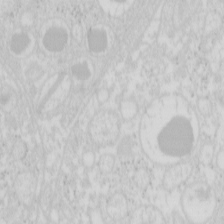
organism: Mouse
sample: Pancreas